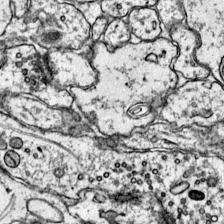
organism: Mouse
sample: Primary visual cortex